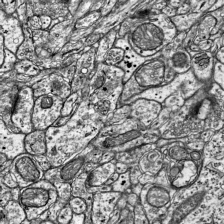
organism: Mouse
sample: Visual Cortex